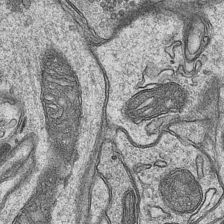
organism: Mouse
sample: CA1 Hippocampus